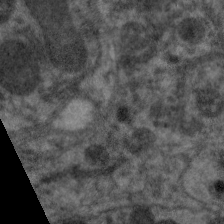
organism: C. elegans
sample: Pharynx